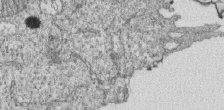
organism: Human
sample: HeLa cell HIV synapse